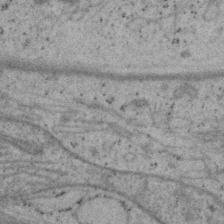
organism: Human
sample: HeLa cells